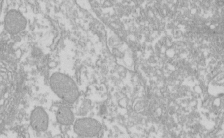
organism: Xenopus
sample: Cilia; centrioles in frog embryo cells